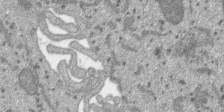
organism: Human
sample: Lung epithelial cells infected with SARS-CoV-2